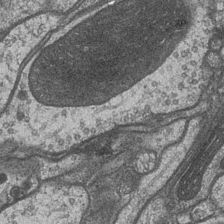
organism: Drosophila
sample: Optic medulla